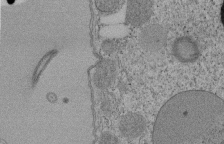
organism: Tetrahymena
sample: Cilia in tetrahymena